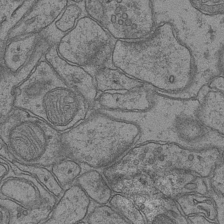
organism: Mouse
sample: CA1 Hippocampus